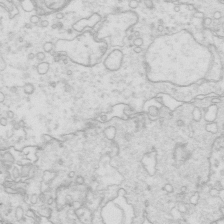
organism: Mouse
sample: Multiciliated cells